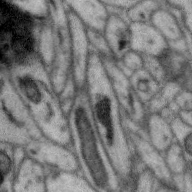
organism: Zebra finch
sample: Brain